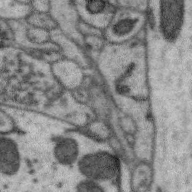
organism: Zebra finch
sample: Brain